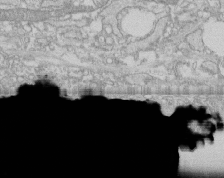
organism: Human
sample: CRL-1474